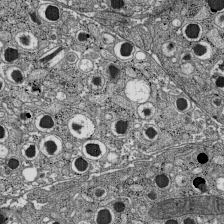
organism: C57BL Mouse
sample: Pancreatic islet